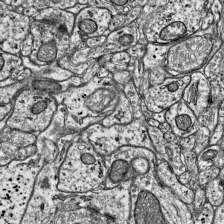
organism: Mouse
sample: Visual Cortex